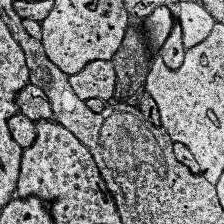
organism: Human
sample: Temporal Lobe